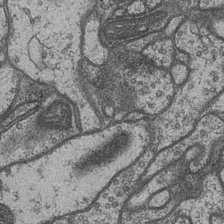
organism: Drosophila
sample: Optic medulla